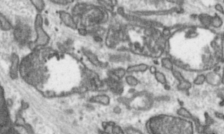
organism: Toxoplasma gondii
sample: Parasites in a vacuole inside a host cell